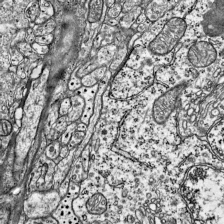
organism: Mouse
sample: Visual Cortex